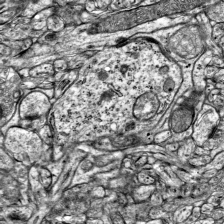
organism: Mouse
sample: Visual Cortex